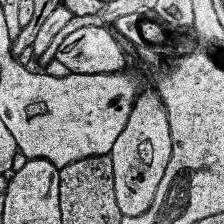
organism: Human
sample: Temporal Lobe